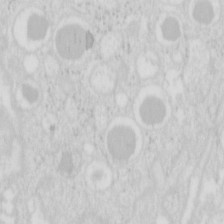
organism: Mouse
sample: Pancreas